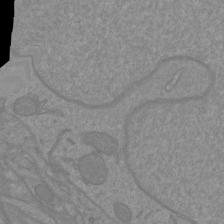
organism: Mouse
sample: Cortical neurons